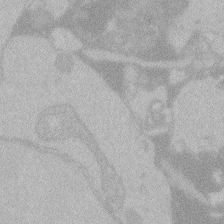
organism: Zebrafish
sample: Macrophage infected with Toxoplasma gondii